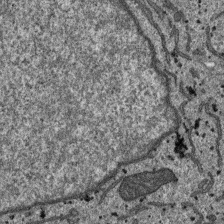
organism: Human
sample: Lung epithelial cells infected with SARS-CoV-2